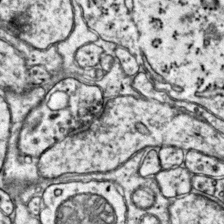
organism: Mouse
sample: Primary visual cortex